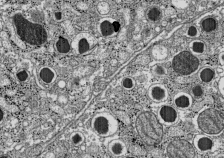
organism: C57BL Mouse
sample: Pancreatic islet